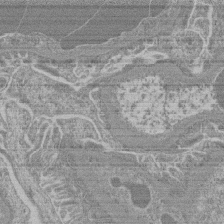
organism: Mouse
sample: Glomerulus